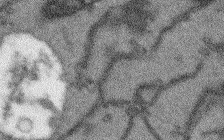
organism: Arabidopsis thaliana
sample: Root tip